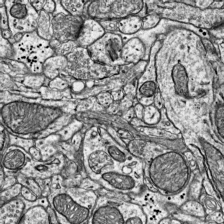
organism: Mouse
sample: Visual Cortex